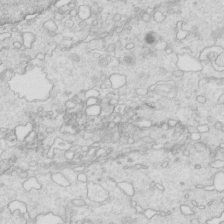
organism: Mouse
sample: Multiciliated cells